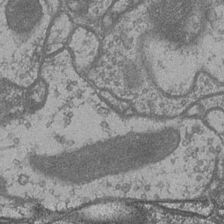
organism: Drosophila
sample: Optic medulla